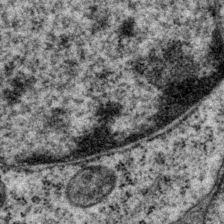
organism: P. pacificus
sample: Pharynx